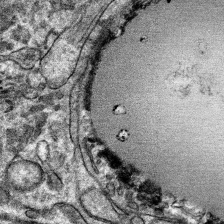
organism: Mouse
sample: Mouse hepatocytes